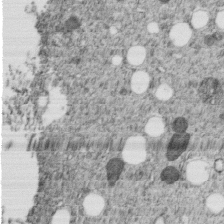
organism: C. elegans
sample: C. elegans embryo early stage